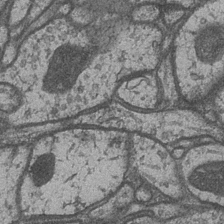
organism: Drosophila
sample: Optic medulla